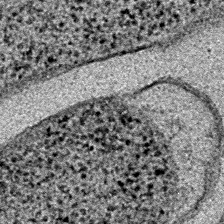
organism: E. coli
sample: E. Coli Bacteria